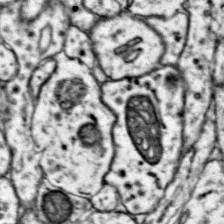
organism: Mouse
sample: Primary visual cortex